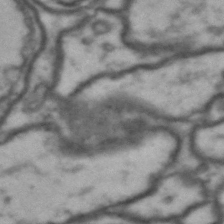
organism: Drosophila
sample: Brain